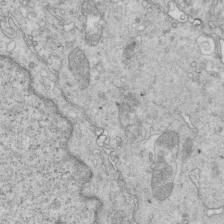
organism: Mouse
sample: Multiciliated cells